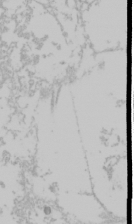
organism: Mouse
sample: Cancer cell death in ED-1 cells